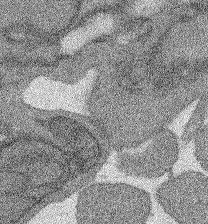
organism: Human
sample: HeLa cells